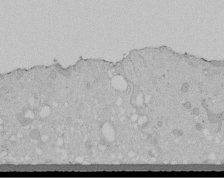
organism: Human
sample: Melanocyte Keratinocyte synapse skin construct